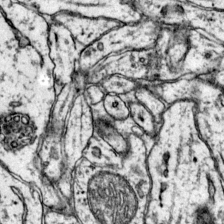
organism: Mouse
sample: Primary visual cortex